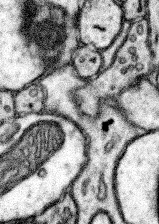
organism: Mouse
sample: Somatosensory cortex neuropil